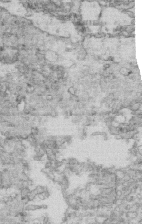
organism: Mouse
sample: Multiciliated cells